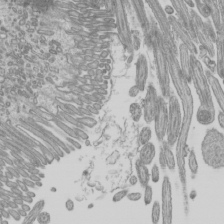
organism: Mouse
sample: Cilia; mouse epididymis